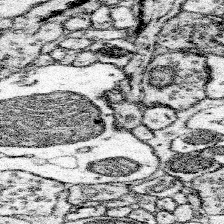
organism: Mouse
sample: Somatosensory cortex neuropil